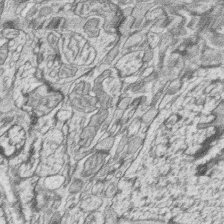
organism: Zebrafish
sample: synaptic ribbons in rod cells and cone cells